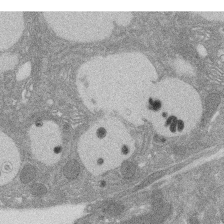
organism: Rat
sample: Salivary granule